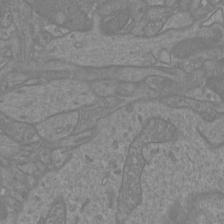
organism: Mouse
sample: Cortical neurons